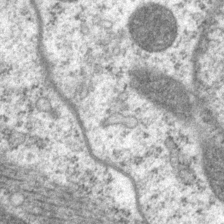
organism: P. pacificus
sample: Pharynx